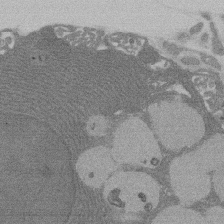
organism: Rat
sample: Salivary granule